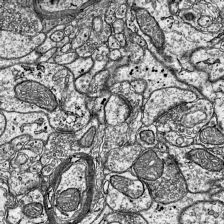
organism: Mouse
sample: Visual Cortex